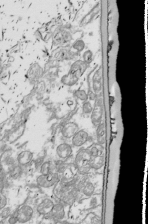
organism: Drosophila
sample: Cell division; meiosis; drosophila spermatocytes